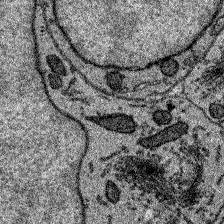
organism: Zebrafish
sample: Larval olfactory bulb